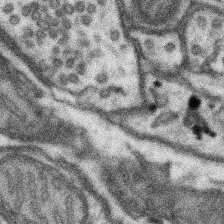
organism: Mouse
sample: Somatosensory cortex neuropil